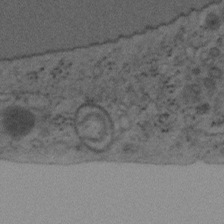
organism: Human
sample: HeLa cells